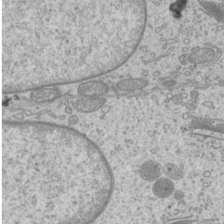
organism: Mouse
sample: Cilia; mouse epididymis